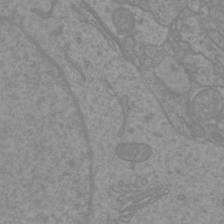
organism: Mouse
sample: Cortical neurons